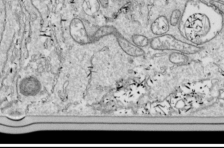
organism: Drosophila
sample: Cell division; meiosis; drosophila spermatocytes